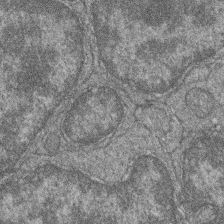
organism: Zebrafish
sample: Cilia; retinal pigment epithelium